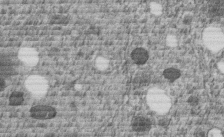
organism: C. elegans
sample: C. elegans embryo early stage